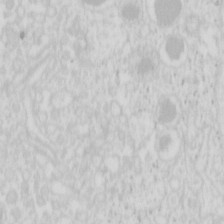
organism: Mouse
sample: Pancreas